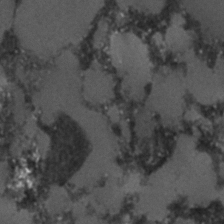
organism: C. elegans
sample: C. elegans embryo